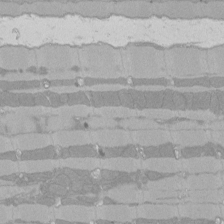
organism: Rat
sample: Left ventricle